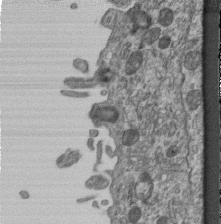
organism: Mouse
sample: Centriole in ependymal cells